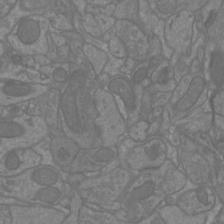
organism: Mouse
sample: Cortical neurons